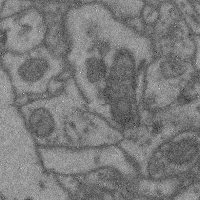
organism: Mouse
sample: Cerebral cortex